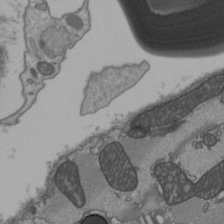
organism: C57BL Mouse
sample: Heart